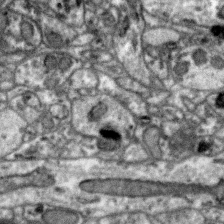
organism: Zebra finch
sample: Brain